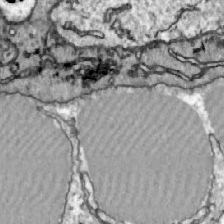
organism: Zebrafish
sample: Actinotrichia fibers